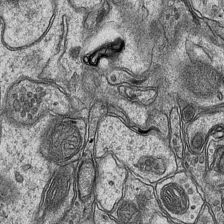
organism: Mouse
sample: CA1 Hippocampus